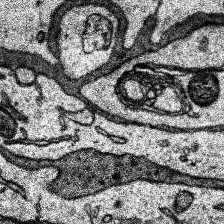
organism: Human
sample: Temporal Lobe